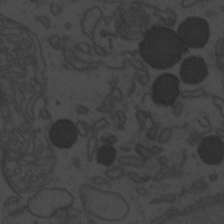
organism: Zebrafish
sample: Macrophage infected with Toxoplasma gondii